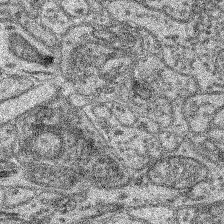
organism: Mouse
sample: Retina